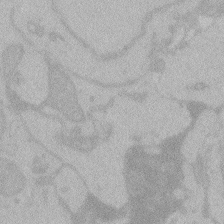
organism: Zebrafish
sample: Macrophage infected with Toxoplasma gondii